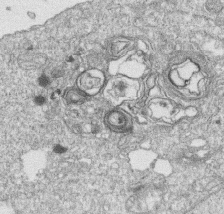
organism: Human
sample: HeLa cell HIV synapse